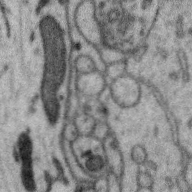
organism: Zebra finch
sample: Brain